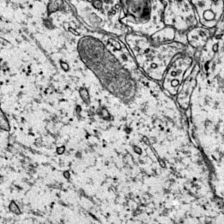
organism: Mouse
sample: Primary visual cortex